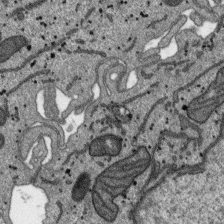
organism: Human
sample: Lung epithelial cells, uninfected (mock) control